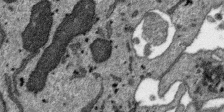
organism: Human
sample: Lung epithelial cells, uninfected (mock) control